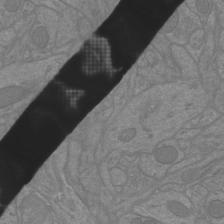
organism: Mouse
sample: Cortical neurons